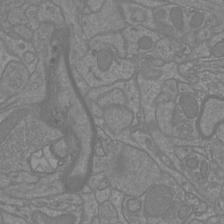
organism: Mouse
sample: Cortical neurons